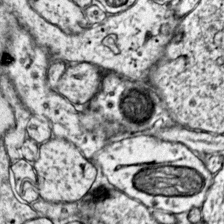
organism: Mouse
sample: Primary visual cortex